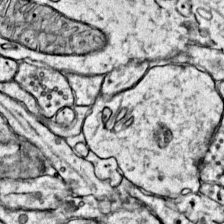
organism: Mouse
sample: Primary visual cortex